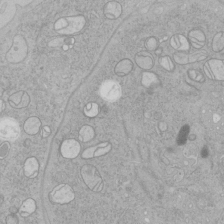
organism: Human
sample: Mitochondria in HCT116 cells